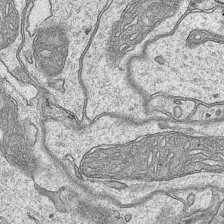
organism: Mouse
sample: CA1 Hippocampus